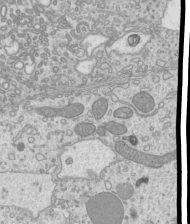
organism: Mouse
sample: Cilia; mouse epididymis